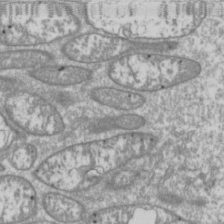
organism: Drosophila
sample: Cell division; meiosis; drosophila spermatocytes